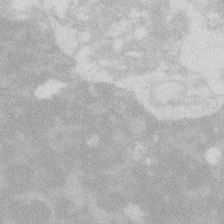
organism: Zebrafish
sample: Macrophage